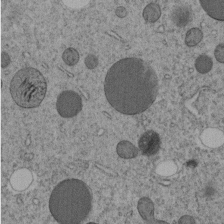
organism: C. elegans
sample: C. elegans embryo early stage